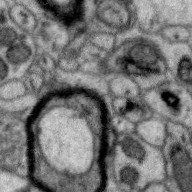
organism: Zebra finch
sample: Brain